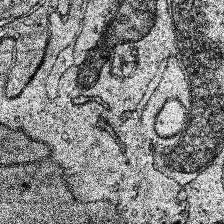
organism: Human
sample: Temporal Lobe